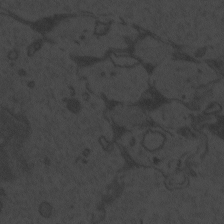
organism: Zebrafish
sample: Macrophage infected with Toxoplasma gondii